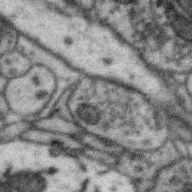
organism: Zebra finch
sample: Brain